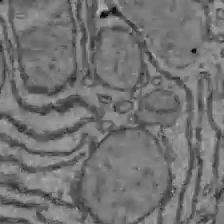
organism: C57BL Mouse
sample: Liver